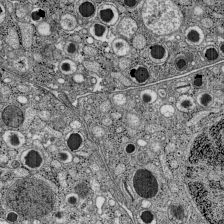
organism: C57BL Mouse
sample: Pancreatic islet